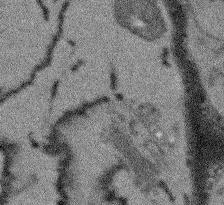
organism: Arabidopsis thaliana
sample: Root tip